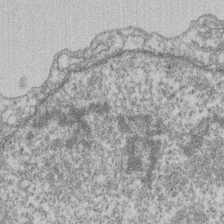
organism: Mouse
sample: T cell stromal cell synapse